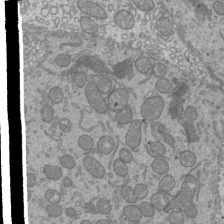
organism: Mouse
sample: Cilia; mouse epididymis